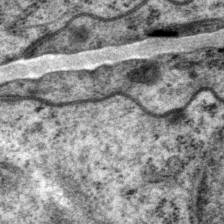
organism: P. pacificus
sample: Pharynx